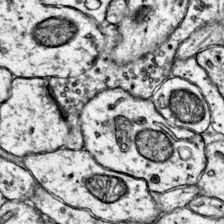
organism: Mouse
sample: Primary visual cortex